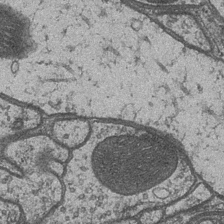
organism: Drosophila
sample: Optic medulla